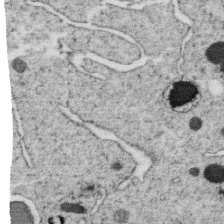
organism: C. elegans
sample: C. elegans oocyte; sperm cells